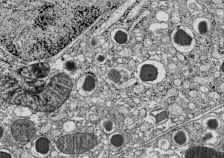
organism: C57BL Mouse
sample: Pancreatic islet